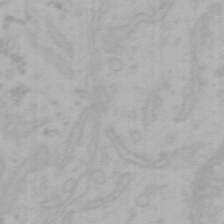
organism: Mouse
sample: Choroid plexus